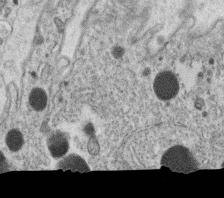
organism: C. elegans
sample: C. elegans oocyte; sperm cells